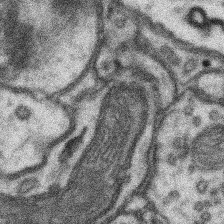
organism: Mouse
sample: Somatosensory cortex neuropil